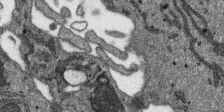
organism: Human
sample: Lung epithelial cells infected with SARS-CoV-2